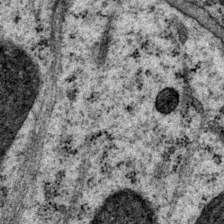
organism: P. pacificus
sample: Pharynx